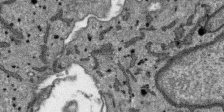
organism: Human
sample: Lung epithelial cells, uninfected (mock) control